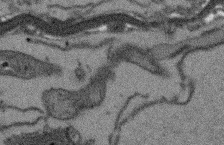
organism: Arabidopsis thaliana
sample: Root tip